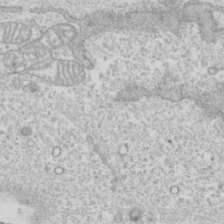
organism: Human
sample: CRL-1474